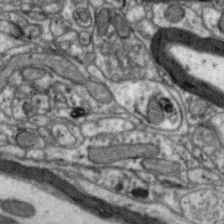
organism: Zebra finch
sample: Brain